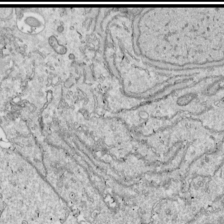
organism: Drosophila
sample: Cell division; meiosis; drosophila spermatocytes